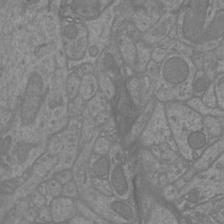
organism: Mouse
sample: Cortical neurons